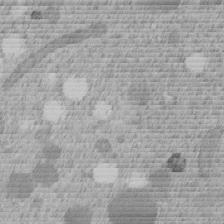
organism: C. elegans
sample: C. elegans embryo early stage